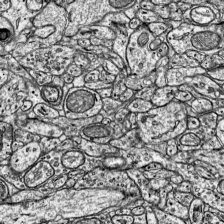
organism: Mouse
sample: Visual Cortex